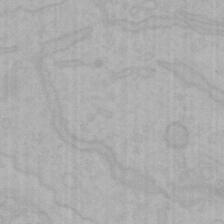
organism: Mouse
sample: Choroid plexus